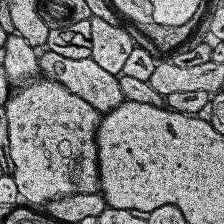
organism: Human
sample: Temporal Lobe